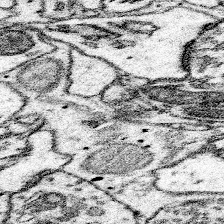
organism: Mouse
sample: Somatosensory cortex neuropil